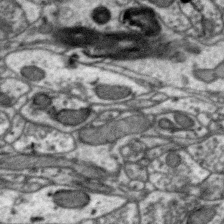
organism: Zebra finch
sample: Brain